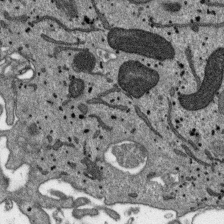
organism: Human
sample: Lung epithelial cells, uninfected (mock) control